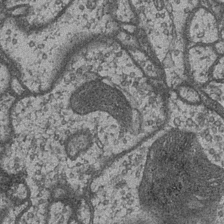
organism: Drosophila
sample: Optic medulla